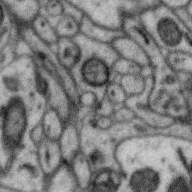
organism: Zebra finch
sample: Brain